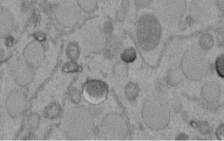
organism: C. elegans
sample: C. elegans embryo early stage